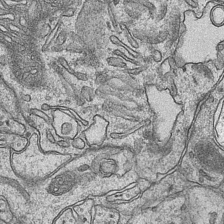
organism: Mouse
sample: CA1 Hippocampus